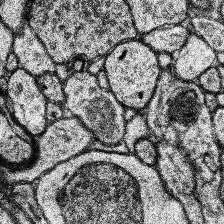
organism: Human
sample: Temporal Lobe